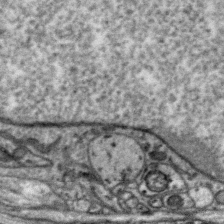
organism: Zebra finch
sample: Brain